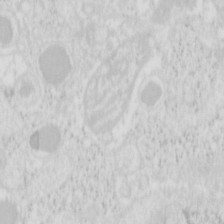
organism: Mouse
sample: Pancreas